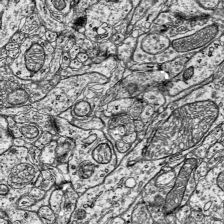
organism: Mouse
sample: Visual Cortex